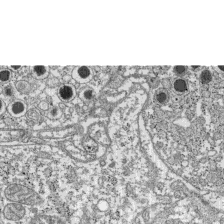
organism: C57BL Mouse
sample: Pancreatic islet